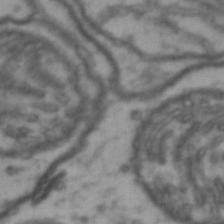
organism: Drosophila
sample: Brain